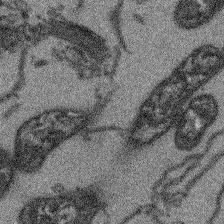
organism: Arabidopsis thaliana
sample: Root tip